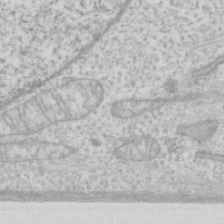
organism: Human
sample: Fibroblast cells